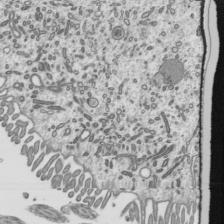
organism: Mouse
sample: Mouse epididymis efferent ductule cilia